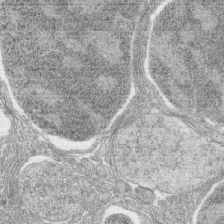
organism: Zebrafish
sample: synaptic ribbons in rod cells and cone cells